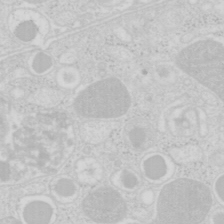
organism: Mouse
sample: Pancreas